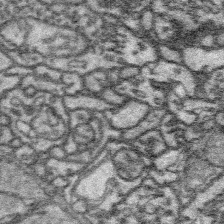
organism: Platynereis dumerilii